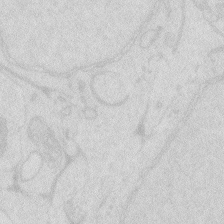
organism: Zebrafish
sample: Macrophage